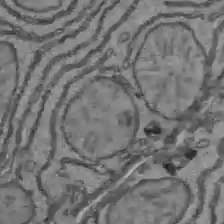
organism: C57BL Mouse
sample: Liver